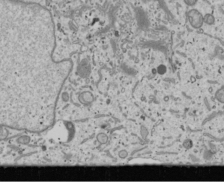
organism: Human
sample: Mitochondria in U2OS cells